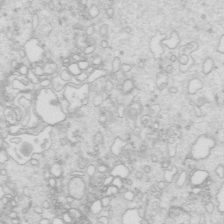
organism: Mouse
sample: Multiciliated cells